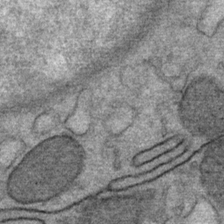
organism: Mouse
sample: Mouse Salivary gland